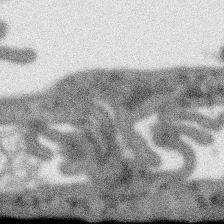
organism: Human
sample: Lung epithelial cells infected with SARS-CoV-2